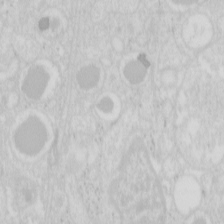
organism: Mouse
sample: Pancreas